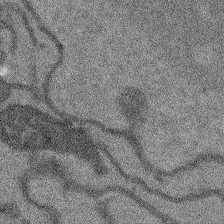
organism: Arabidopsis thaliana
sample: Root tip